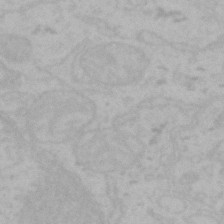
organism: Mouse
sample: Choroid plexus